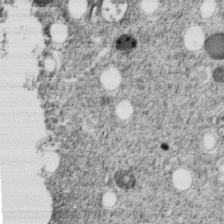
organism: C. elegans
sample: C. elegans embryo early stage